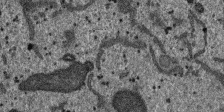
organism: Human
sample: Lung epithelial cells infected with SARS-CoV-2